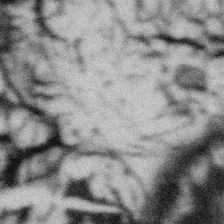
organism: Gemmata obscuriglobus